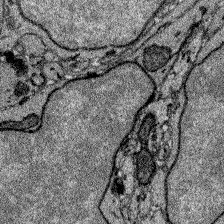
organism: Zebrafish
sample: Larval olfactory bulb